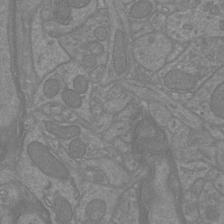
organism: Mouse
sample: Cortical neurons